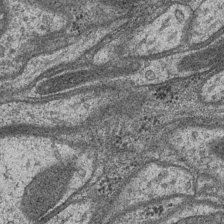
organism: Drosophila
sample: Optic medulla